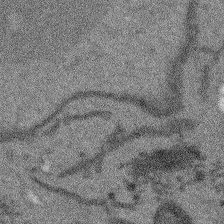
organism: Arabidopsis thaliana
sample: Root tip